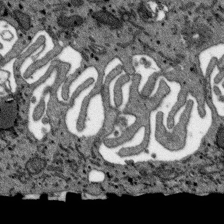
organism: Human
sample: Lung epithelial cells, uninfected (mock) control